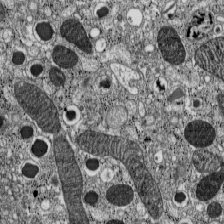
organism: C57BL Mouse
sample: Pancreatic islet